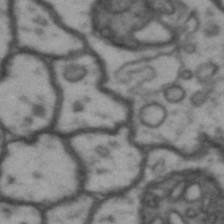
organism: Drosophila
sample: Brain